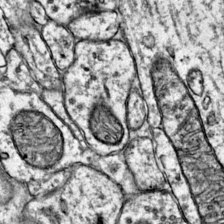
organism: Mouse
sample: Primary visual cortex